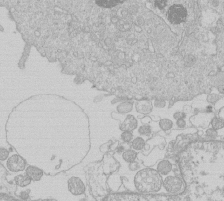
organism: Human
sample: Macrophage cells